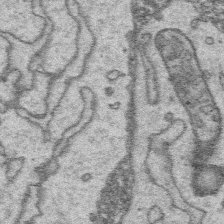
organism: Platynereis dumerilii